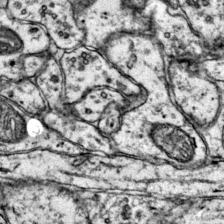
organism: Mouse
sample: Primary visual cortex